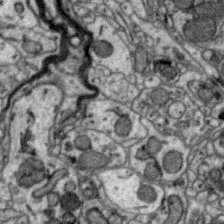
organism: Zebra finch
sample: Brain